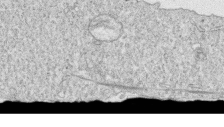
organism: Human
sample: HeLa cell HIV synapse